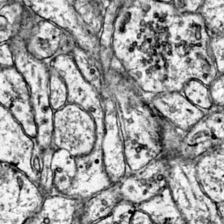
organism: Mouse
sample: Primary visual cortex